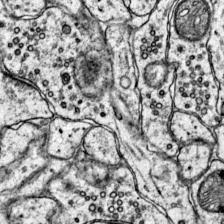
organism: Mouse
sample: Primary visual cortex